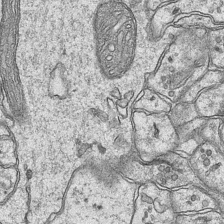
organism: Mouse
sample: CA1 Hippocampus